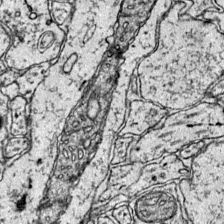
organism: Mouse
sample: Primary visual cortex